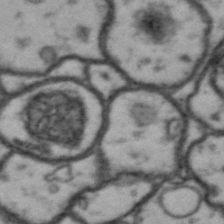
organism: Drosophila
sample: Brain